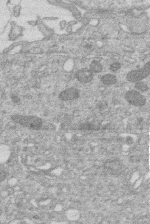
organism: Human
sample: Macrophage cells